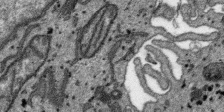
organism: Human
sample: Lung epithelial cells, uninfected (mock) control